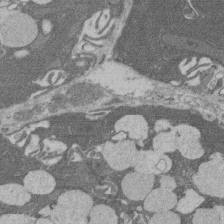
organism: Rat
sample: Salivary granule